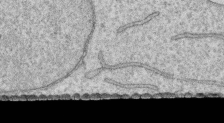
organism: Human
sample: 1205lu cells